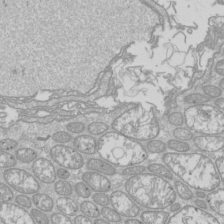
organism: Drosophila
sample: Cell division; meiosis; drosophila spermatocytes